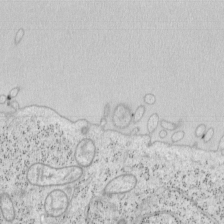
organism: Mouse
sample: OT-I killer T cells with ID8 ovarian cancer cells